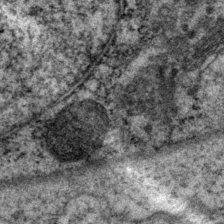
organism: P. pacificus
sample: Pharynx